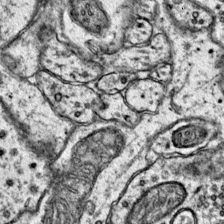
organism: Mouse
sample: Primary visual cortex